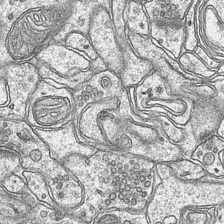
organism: Mouse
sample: CA1 Hippocampus